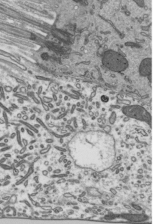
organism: Mouse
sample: Mouse epididymis efferent ductule cilia